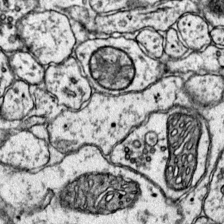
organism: Mouse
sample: Primary visual cortex